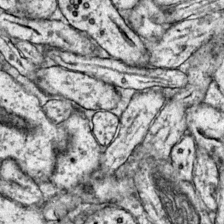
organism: Mouse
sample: Primary visual cortex